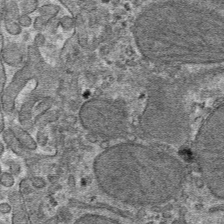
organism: Mouse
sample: Mouse hepatocytes